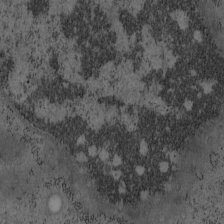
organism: Mouse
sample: OT-I killer T cells with ID8 ovarian cancer cells